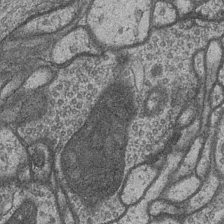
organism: Drosophila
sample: Optic medulla